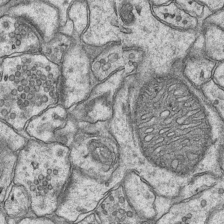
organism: Mouse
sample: CA1 Hippocampus